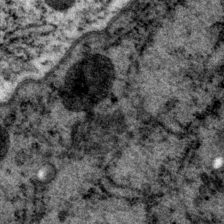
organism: P. pacificus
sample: Pharynx